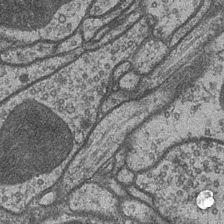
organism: Drosophila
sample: Optic medulla